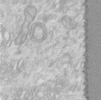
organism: Human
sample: Centriole in RPE cells